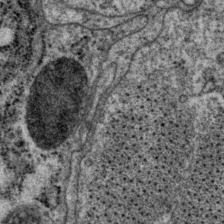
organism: P. pacificus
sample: Pharynx